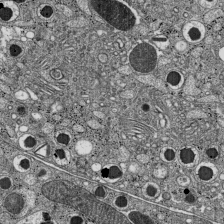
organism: C57BL Mouse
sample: Pancreatic islet